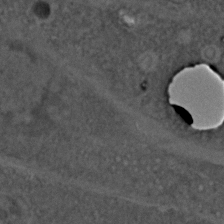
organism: C. elegans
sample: C. elegans embryo